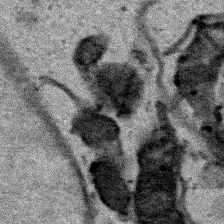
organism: Human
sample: Mitochondria in HCT116 cells